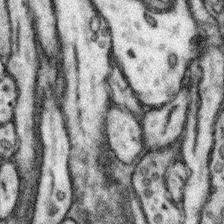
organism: Mouse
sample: Somatosensory cortex neuropil